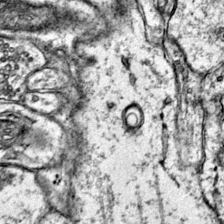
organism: Mouse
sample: Primary visual cortex